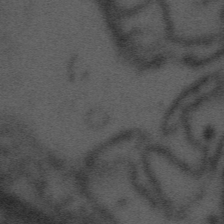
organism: Tuwongella immobilis